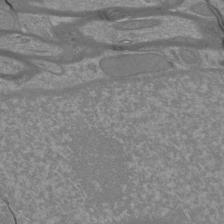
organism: Mouse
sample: Cortical neurons